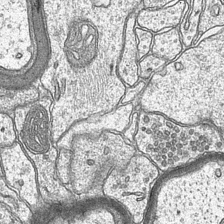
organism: Mouse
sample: CA1 Hippocampus